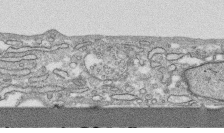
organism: Human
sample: CRL-1474